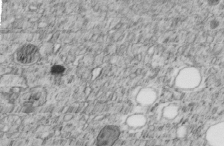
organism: C. elegans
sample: C. elegans embryo early stage